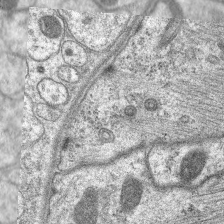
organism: C. elegans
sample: Pharynx